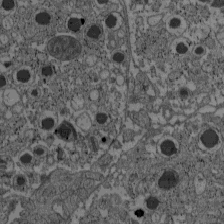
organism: C57BL Mouse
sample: Pancreatic islet